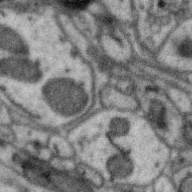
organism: Zebra finch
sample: Brain